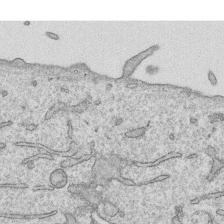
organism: Human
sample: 1205lu cells